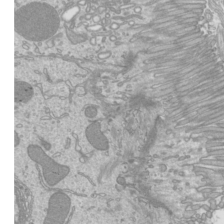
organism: Mouse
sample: Cilia; mouse epididymis